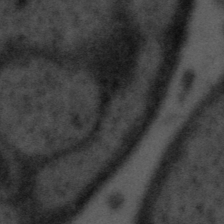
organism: Tuwongella immobilis